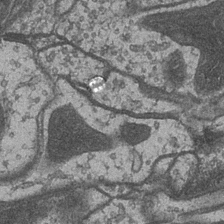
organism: Drosophila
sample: Optic medulla